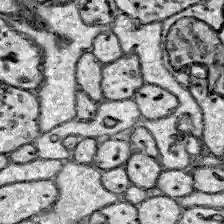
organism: Zebrafish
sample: Brain